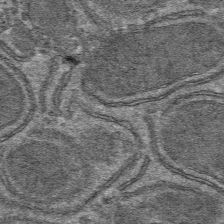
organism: Mouse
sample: Mouse hepatocytes